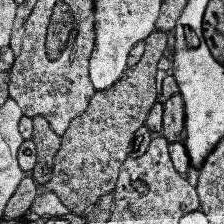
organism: Human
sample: Temporal Lobe